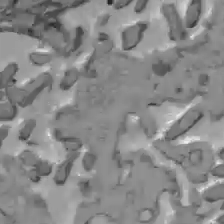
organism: C57BL Mouse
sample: Liver